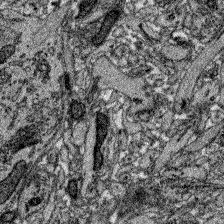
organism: Zebrafish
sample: Larval olfactory bulb